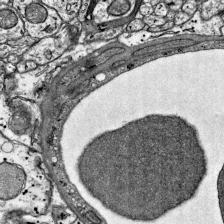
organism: Mouse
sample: Visual Cortex